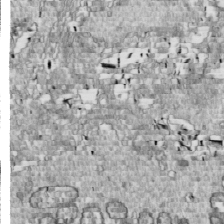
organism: Drosophila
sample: Cell division; meiosis; drosophila spermatocytes